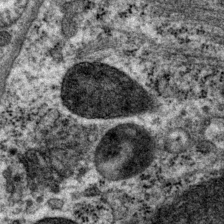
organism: P. pacificus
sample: Pharynx